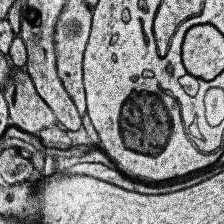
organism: Human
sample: Temporal Lobe